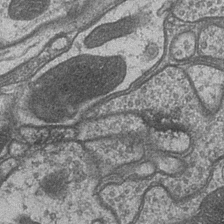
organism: Drosophila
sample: Optic medulla